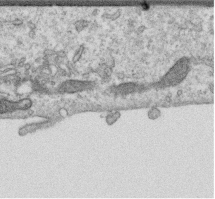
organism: Human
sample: Centriole in RPE cells